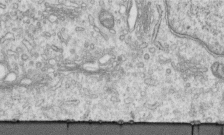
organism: Human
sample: Centriole in RPE cells